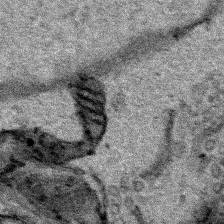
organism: Human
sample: Mitochondria in HCT116 cells